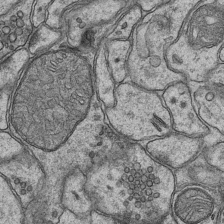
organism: Mouse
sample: CA1 Hippocampus